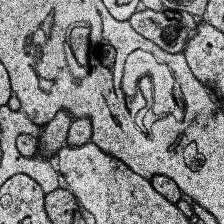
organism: Human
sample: Temporal Lobe